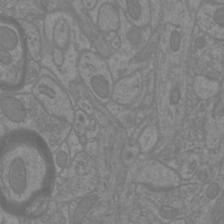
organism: Mouse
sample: Cortical neurons